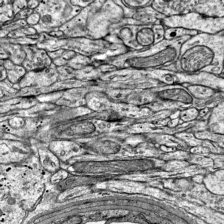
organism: Mouse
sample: Visual Cortex